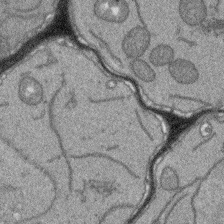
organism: Arabidopsis thaliana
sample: Root tip